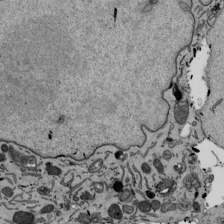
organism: Mouse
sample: ED-1 cell nuclei; centrioles